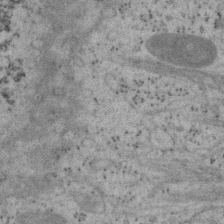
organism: Human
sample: HeLa cells